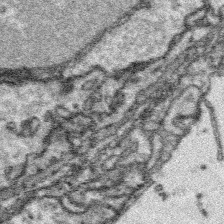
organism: Platynereis dumerilii